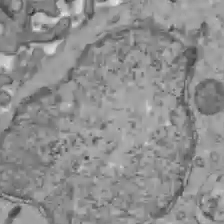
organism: C57BL Mouse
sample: Liver